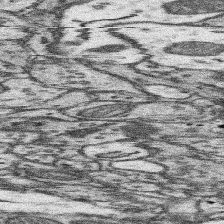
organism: Mouse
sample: Somatosensory cortex neuropil